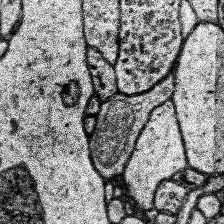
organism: Human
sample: Temporal Lobe